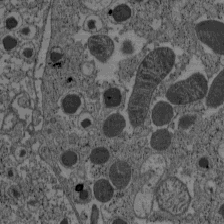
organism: C57BL Mouse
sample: Pancreatic islet